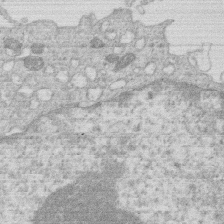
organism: Human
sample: Macrophage cells